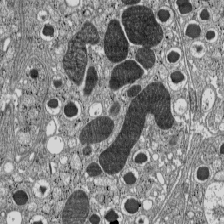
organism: C57BL Mouse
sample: Pancreatic islet